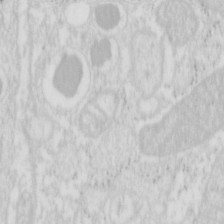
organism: Mouse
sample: Pancreas